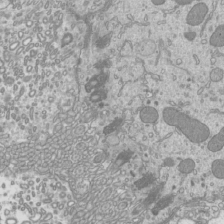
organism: Mouse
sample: Cilia; mouse epididymis